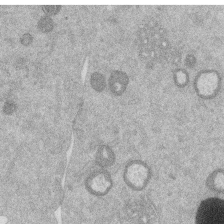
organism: Mouse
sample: Dividing mouse embryo 1 cell stage